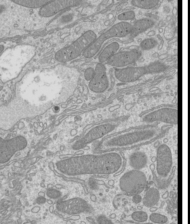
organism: Mouse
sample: Cilia; mouse epididymis